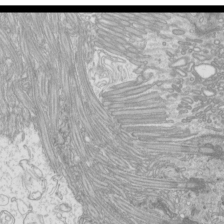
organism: Mouse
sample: Cilia; mouse epididymis